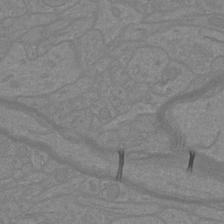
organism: Mouse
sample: Cortical neurons